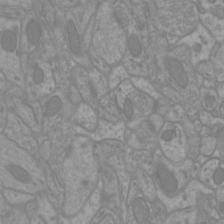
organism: Mouse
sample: Cortical neurons